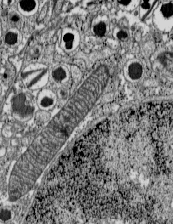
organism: C57BL Mouse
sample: Pancreatic islet